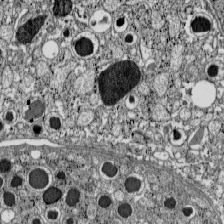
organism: C57BL Mouse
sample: Pancreatic islet